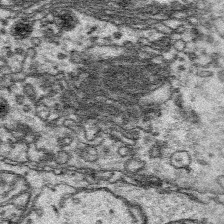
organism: Platynereis dumerilii